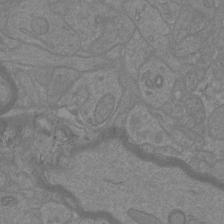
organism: Mouse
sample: Cortical neurons